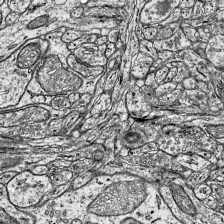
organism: Mouse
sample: Visual Cortex